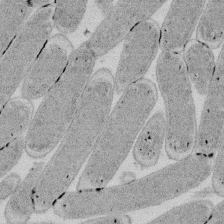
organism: E. coli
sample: Bacterial nucleoid